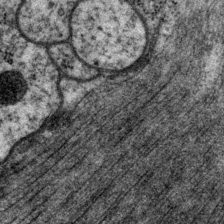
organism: P. pacificus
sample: Pharynx